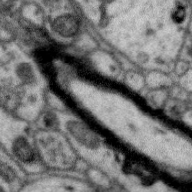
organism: Zebra finch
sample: Brain